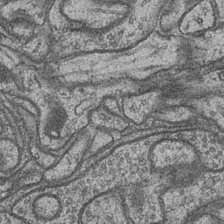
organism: Drosophila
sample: Optic medulla